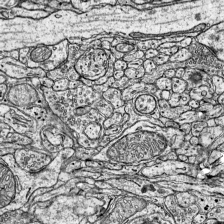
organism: Mouse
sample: Visual Cortex